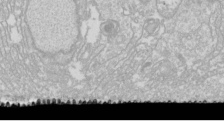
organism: Drosophila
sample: Cell division; meiosis; drosophila spermatocytes